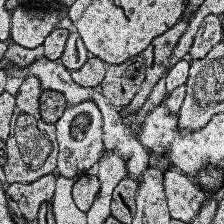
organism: Human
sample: Temporal Lobe